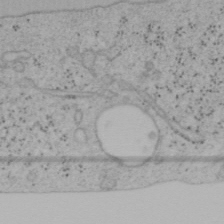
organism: Human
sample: HeLa cells